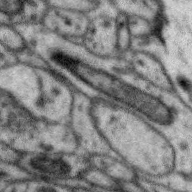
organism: Zebra finch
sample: Brain